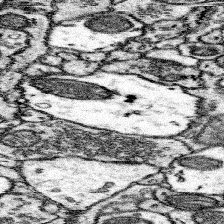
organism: Mouse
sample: Somatosensory cortex neuropil